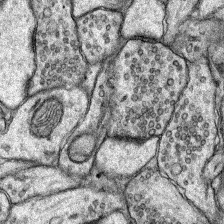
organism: Rat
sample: Hippocampus